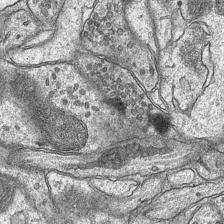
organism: Mouse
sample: CA1 Hippocampus